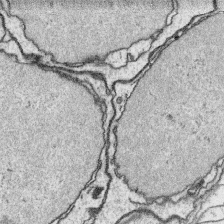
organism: Platynereis dumerilii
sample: Parapodia